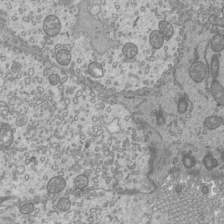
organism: Mouse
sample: Cilia; mouse epididymis